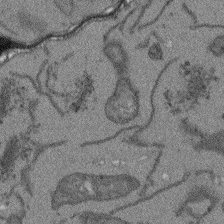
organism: Arabidopsis thaliana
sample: Root tip